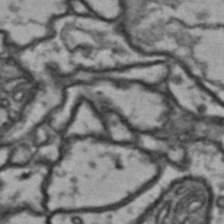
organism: Drosophila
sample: Brain